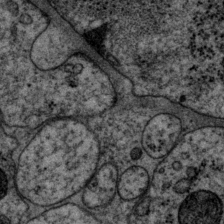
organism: P. pacificus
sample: Pharynx